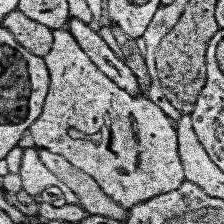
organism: Human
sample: Temporal Lobe